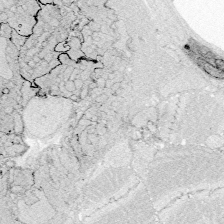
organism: Zebrafish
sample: Whole-Brain